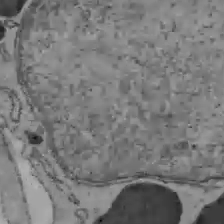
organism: C57BL Mouse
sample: Liver